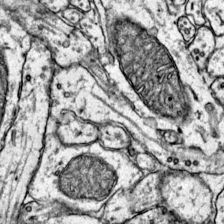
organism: Mouse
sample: Primary visual cortex